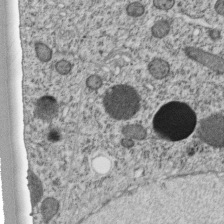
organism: C. elegans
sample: C. elegans embryo early stage